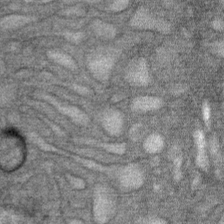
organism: Mouse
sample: Mouse Salivary gland